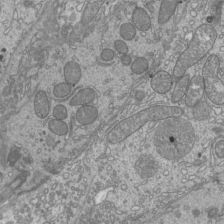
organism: Mouse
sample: Cilia; mouse epididymis